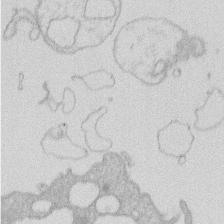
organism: Human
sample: Macrophage cells